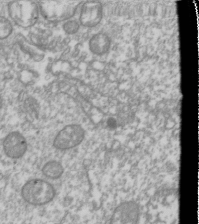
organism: Drosophila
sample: Cell division; meiosis; drosophila spermatocytes